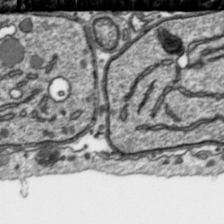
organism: Toxoplasma gondii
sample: Parasites in a vacuole inside a host cell